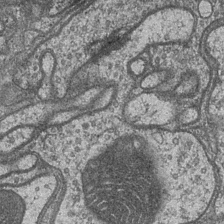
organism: Drosophila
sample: Optic medulla